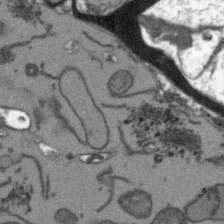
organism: Arabidopsis thaliana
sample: Root tip